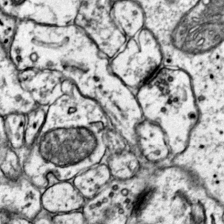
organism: Mouse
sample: Primary visual cortex